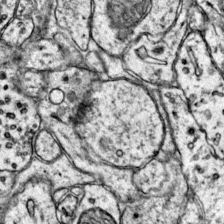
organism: Mouse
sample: Primary visual cortex